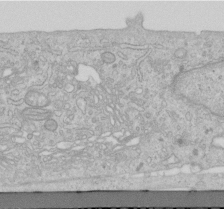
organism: Human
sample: Centriole in RPE cells